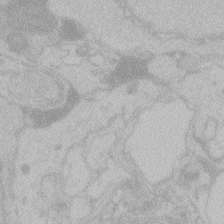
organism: Zebrafish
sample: Macrophage infected with Toxoplasma gondii